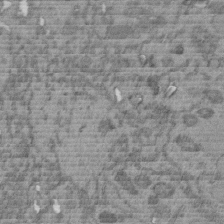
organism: C. elegans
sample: C. elegans embryo early stage